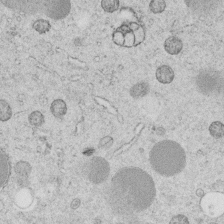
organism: C. elegans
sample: C. elegans embryo early stage